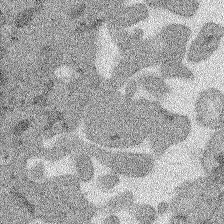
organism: Human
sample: HeLa cells